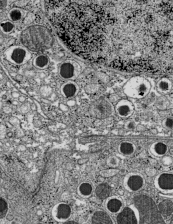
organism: C57BL Mouse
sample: Pancreatic islet